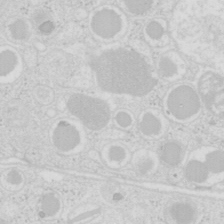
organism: Mouse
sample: Pancreas